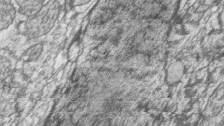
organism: Zebrafish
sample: synaptic ribbons in rod cells and cone cells